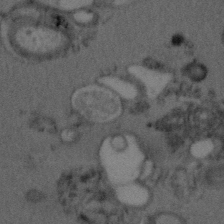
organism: Human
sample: HeLa cells